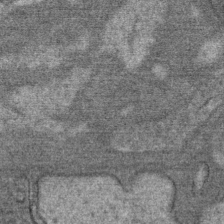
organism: Mouse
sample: Mouse Salivary gland